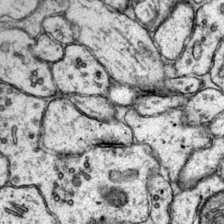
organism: Mouse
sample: Primary visual cortex